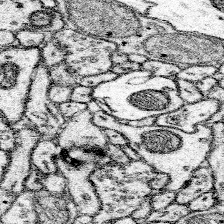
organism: Mouse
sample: Somatosensory cortex neuropil